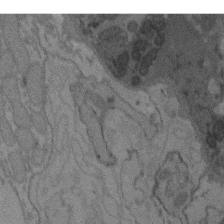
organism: C. elegans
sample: AFD neurons C. elegans